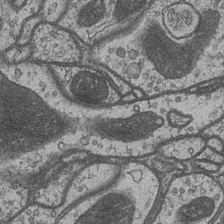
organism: Drosophila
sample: Optic medulla